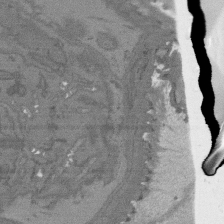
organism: C. elegans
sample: AFD neurons C. elegans